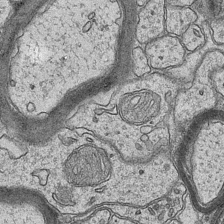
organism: Mouse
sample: CA1 Hippocampus